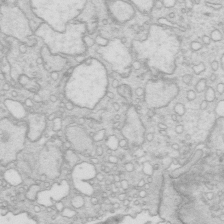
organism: Mouse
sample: Multiciliated cells